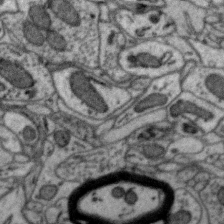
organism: Zebra finch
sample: Brain